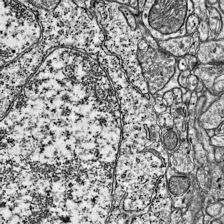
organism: Mouse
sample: Visual Cortex